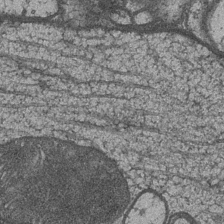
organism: Drosophila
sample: Optic medulla